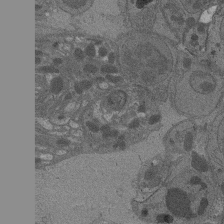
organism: Drosophila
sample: Antenna